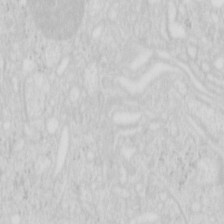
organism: Mouse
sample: Pancreas